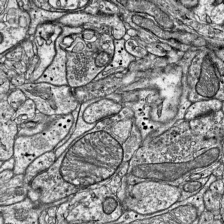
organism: Mouse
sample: Visual Cortex